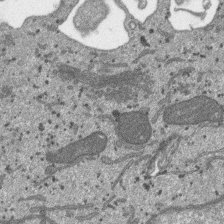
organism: Human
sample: Lung epithelial cells infected with SARS-CoV-2